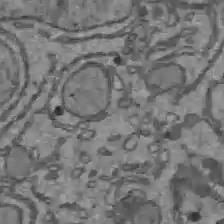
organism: C57BL Mouse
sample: Liver